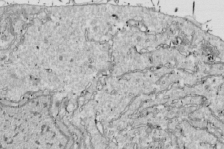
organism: Drosophila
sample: Cell division; meiosis; drosophila spermatocytes